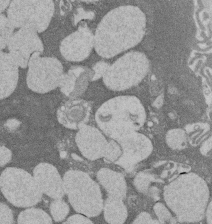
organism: Rat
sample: Salivary granule